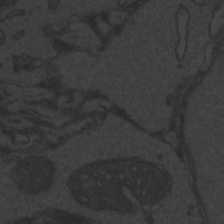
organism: Zebrafish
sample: Macrophage infected with Toxoplasma gondii